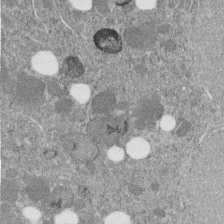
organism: C. elegans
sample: C. elegans embryo early stage